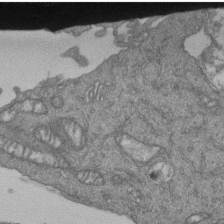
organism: Human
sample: Retinal organoid Rod and Cone cells